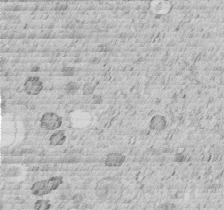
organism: C. elegans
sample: C. elegans embryo early stage